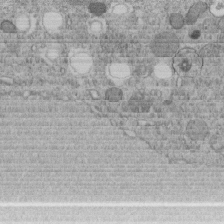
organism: C. elegans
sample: C. elegans embryo early stage